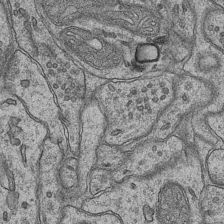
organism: Mouse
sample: CA1 Hippocampus